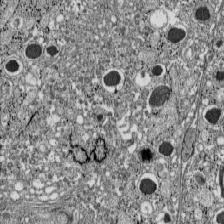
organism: C57BL Mouse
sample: Pancreatic islet